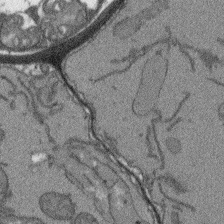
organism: Arabidopsis thaliana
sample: Root tip